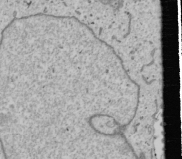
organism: Human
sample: Mitochondria in U2OS cells